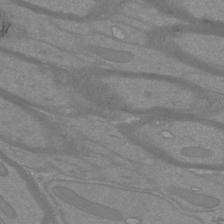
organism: Mouse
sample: Cortical neurons